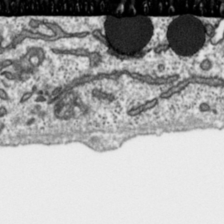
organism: Toxoplasma gondii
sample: Parasites in a vacuole inside a host cell